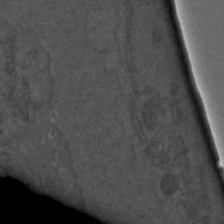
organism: C. elegans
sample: C. elegans embryo